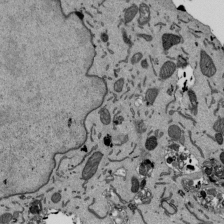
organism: Mouse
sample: ED-1 cell nuclei; centrioles